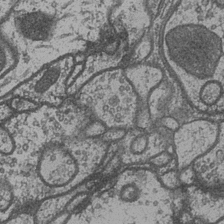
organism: Drosophila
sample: Optic medulla